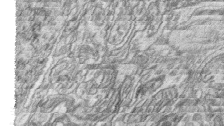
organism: Zebrafish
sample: synaptic ribbons in rod cells and cone cells